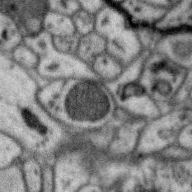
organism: Zebra finch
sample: Brain